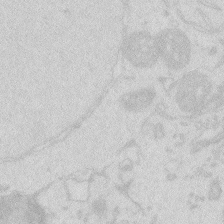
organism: Zebrafish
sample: Macrophage